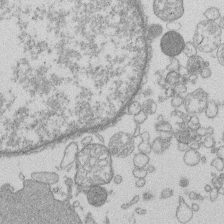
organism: Human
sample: Macrophage cells